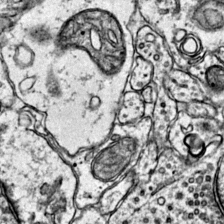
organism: Mouse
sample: Primary visual cortex